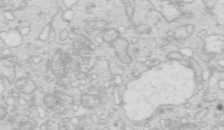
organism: Mouse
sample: Multiciliated cells